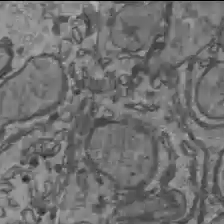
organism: C57BL Mouse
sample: Liver